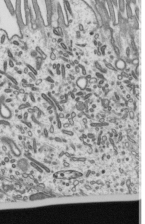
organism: Mouse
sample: Mouse epididymis efferent ductule cilia